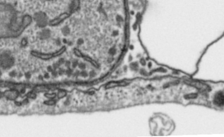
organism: Toxoplasma gondii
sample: Parasites in a vacuole inside a host cell